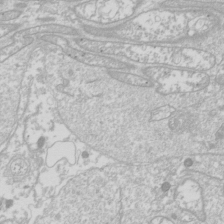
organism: Drosophila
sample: Cell division; meiosis; drosophila spermatocytes